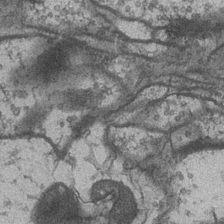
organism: Drosophila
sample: Optic medulla